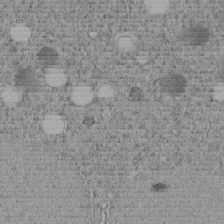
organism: C. elegans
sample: C. elegans embryo early stage